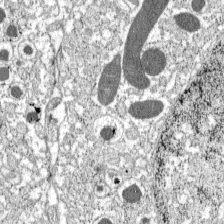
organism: C57BL Mouse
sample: Pancreatic islet